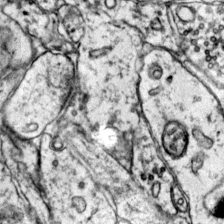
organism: Mouse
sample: Primary visual cortex